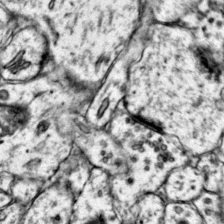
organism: Mouse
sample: Primary visual cortex